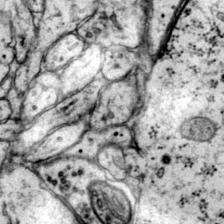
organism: Mouse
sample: Primary visual cortex